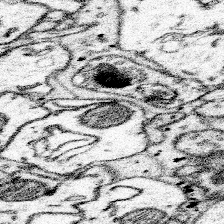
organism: Mouse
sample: Somatosensory cortex neuropil